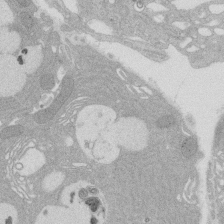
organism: Rat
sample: Salivary granule